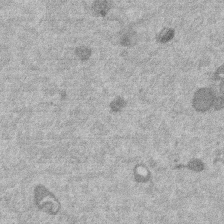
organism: Mouse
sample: Dividing mouse embryo 1 cell stage